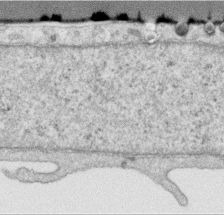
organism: Human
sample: Centriole in RPE cells